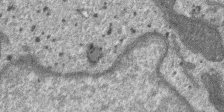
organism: Human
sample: Lung epithelial cells infected with SARS-CoV-2